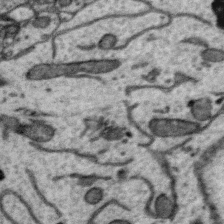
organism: Zebra finch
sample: Brain